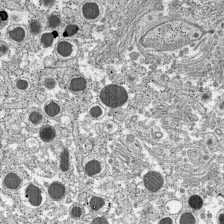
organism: C57BL Mouse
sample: Pancreatic islet